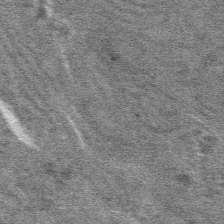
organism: Mouse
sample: Mouse hepatocytes